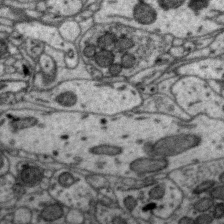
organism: Zebra finch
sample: Brain